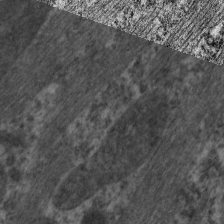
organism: C. elegans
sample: Pharynx